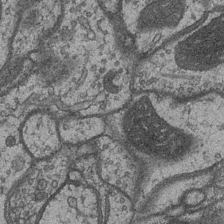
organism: Drosophila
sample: Optic medulla